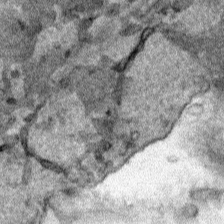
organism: Human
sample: Mitochondria in HCT116 cells